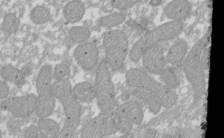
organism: Xenopus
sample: Cilia; centrioles in frog embryo cells